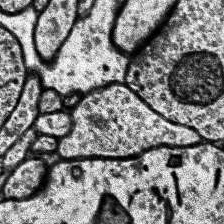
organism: Human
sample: Temporal Lobe